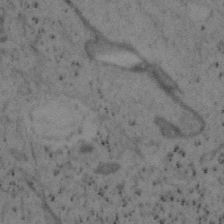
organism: Human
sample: HeLa cells